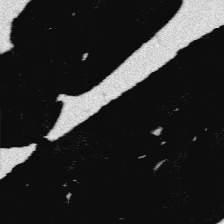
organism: Platynereis dumerilii